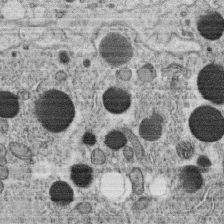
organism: C. elegans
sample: C. elegans oocyte; sperm cells